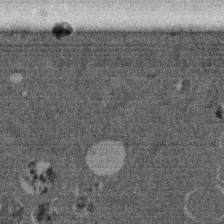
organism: Mouse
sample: Dividing mouse embryo 1 cell stage